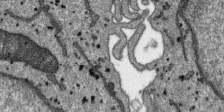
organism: Human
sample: Lung epithelial cells, uninfected (mock) control